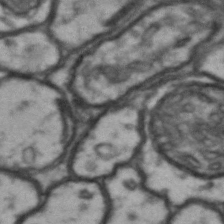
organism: Drosophila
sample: Brain